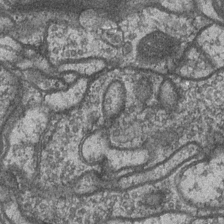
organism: Drosophila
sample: Optic medulla